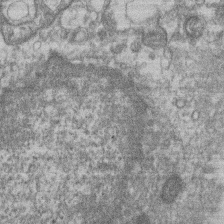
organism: Mouse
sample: T cell stromal cell synapse